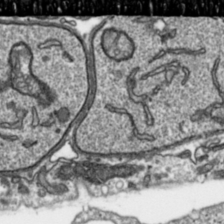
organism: Toxoplasma gondii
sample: Parasites in a vacuole inside a host cell